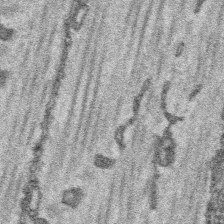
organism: Platynereis dumerilii